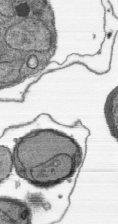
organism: Plasmodium falciparum